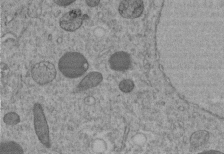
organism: C. elegans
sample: C. elegans embryo early stage